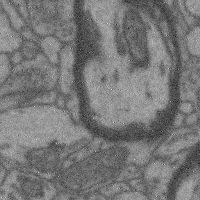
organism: Mouse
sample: Cerebral cortex